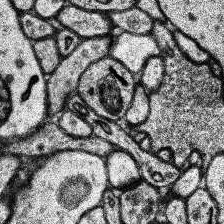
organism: Human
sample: Temporal Lobe